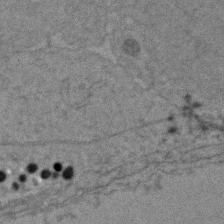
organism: Zebrafish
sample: Zebrafish embryo